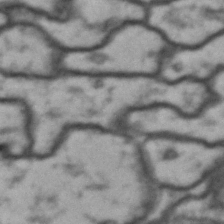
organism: Drosophila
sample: Brain